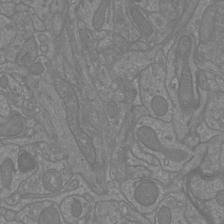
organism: Mouse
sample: Cortical neurons